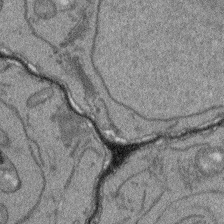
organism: Arabidopsis thaliana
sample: Root tip